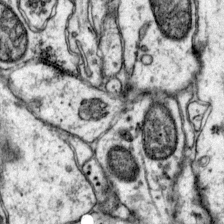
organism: Mouse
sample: Primary visual cortex